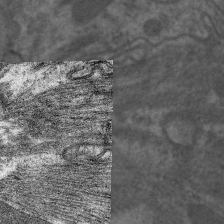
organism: C. elegans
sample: Pharynx